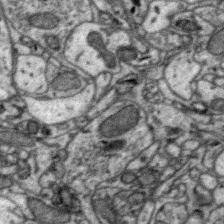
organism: Zebra finch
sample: Brain